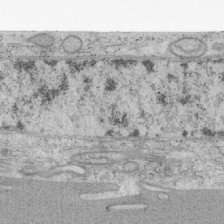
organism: Human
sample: HeLa cells